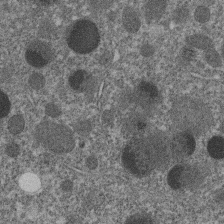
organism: C. elegans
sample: C. elegans embryo early stage